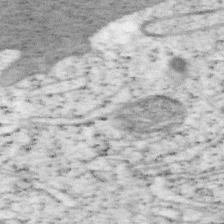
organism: Mouse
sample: OT-I killer T cells with ID8 ovarian cancer cells